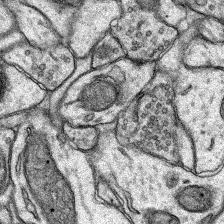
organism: Rat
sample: Hippocampus